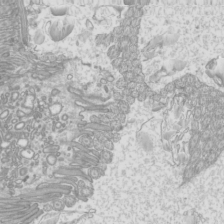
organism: Mouse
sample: Cilia; mouse epididymis